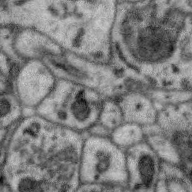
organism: Zebra finch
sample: Brain